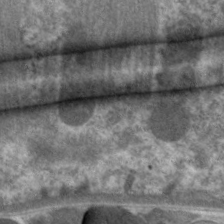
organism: C. elegans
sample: Pharynx